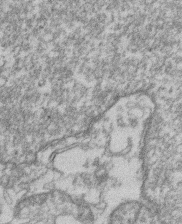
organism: Mouse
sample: T cell stromal cell synapse